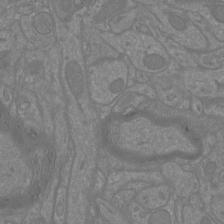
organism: Mouse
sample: Cortical neurons